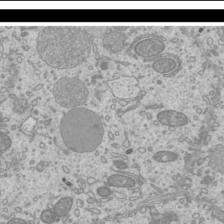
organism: Mouse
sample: Cilia; mouse epididymis